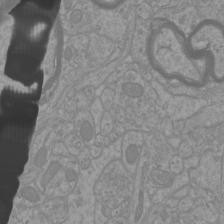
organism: Mouse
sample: Cortical neurons